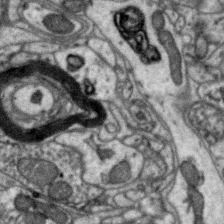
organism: Zebra finch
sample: Brain